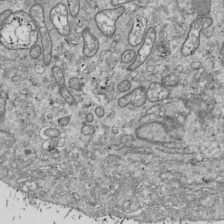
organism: Drosophila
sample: Cell division; meiosis; drosophila spermatocytes